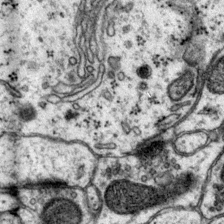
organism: Mouse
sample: Primary visual cortex